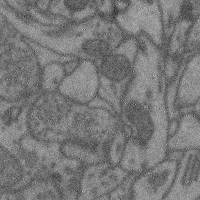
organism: Mouse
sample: Cerebral cortex